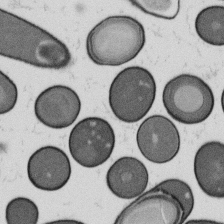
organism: B. subtilis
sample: Bacterial spore